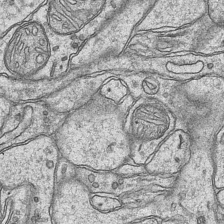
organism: Mouse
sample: CA1 Hippocampus